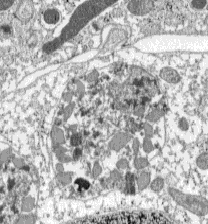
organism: C57BL Mouse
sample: Pancreatic islet